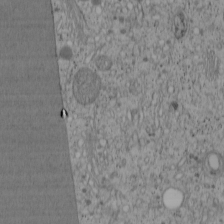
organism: African green monkey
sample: COS-7 cells